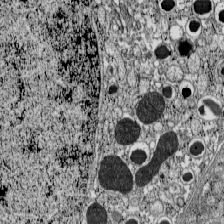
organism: C57BL Mouse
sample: Pancreatic islet